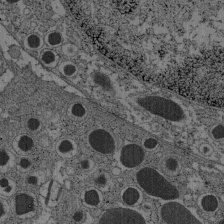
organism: C57BL Mouse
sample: Pancreatic islet